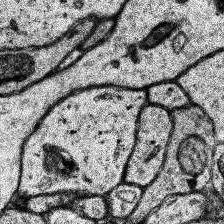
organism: Human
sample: Temporal Lobe